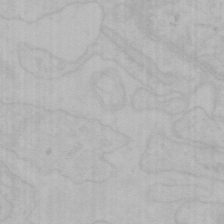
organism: Mouse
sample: Choroid plexus